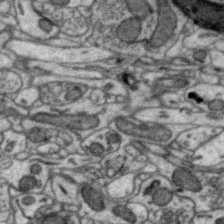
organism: Zebra finch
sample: Brain